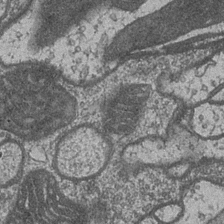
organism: Drosophila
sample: Optic medulla